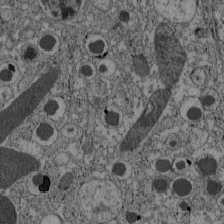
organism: C57BL Mouse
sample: Pancreatic islet